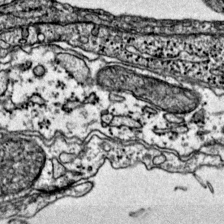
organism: Mouse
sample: Primary visual cortex